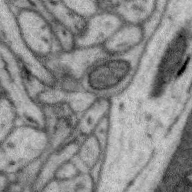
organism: Zebra finch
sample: Brain